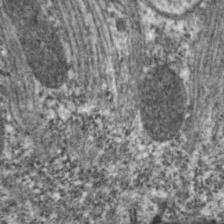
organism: C. elegans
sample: Pharynx